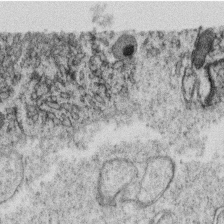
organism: C. elegans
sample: C. elegans oocyte; sperm cells